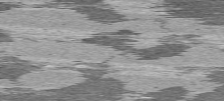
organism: C57BL Mouse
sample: Heart